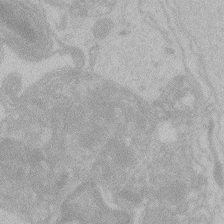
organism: Zebrafish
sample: Macrophage infected with Toxoplasma gondii